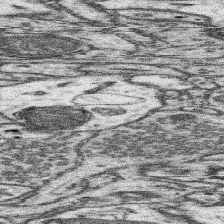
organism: Mouse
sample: Somatosensory cortex neuropil